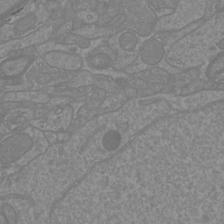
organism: Mouse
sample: Cortical neurons